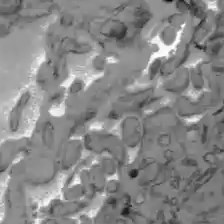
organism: C57BL Mouse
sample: Liver